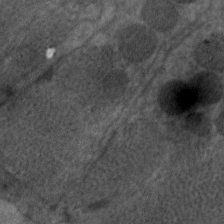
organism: C. elegans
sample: Pharynx